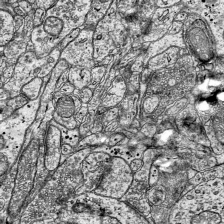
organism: Mouse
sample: Visual Cortex